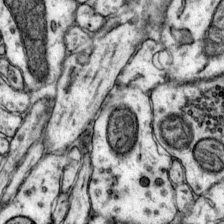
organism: Mouse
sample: Primary visual cortex